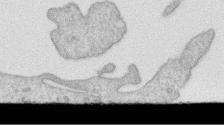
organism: Human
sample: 1205lu cells